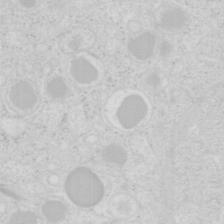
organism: Mouse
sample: Pancreas